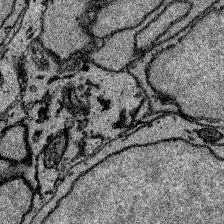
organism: Zebrafish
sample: Larval olfactory bulb